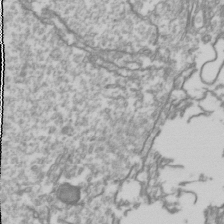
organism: Drosophila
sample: Cell division; meiosis; drosophila spermatocytes